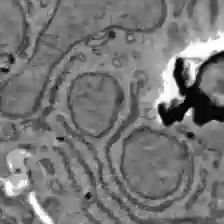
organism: C57BL Mouse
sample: Liver